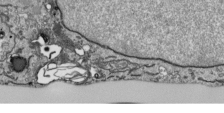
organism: Human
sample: Mitochondria in HCT116 cells